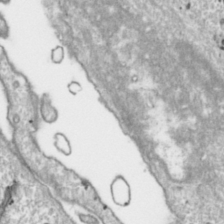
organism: Toxoplasma gondii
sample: Parasites in a vacuole inside a host cell